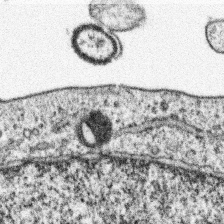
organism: Human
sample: HeLa cells